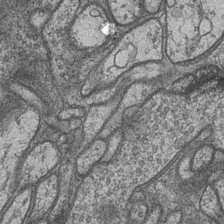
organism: Drosophila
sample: Optic medulla